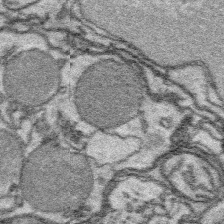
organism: Platynereis dumerilii